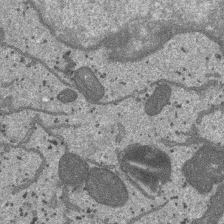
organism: Human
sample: Lung epithelial cells infected with SARS-CoV-2